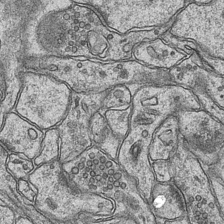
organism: Mouse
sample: CA1 Hippocampus